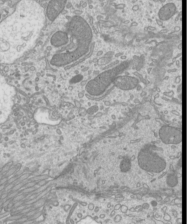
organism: Mouse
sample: Cilia; mouse epididymis